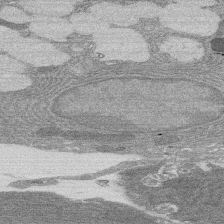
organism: Rat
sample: Salivary granule